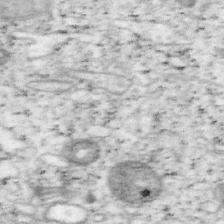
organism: Mouse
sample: OT-I killer T cells with ID8 ovarian cancer cells